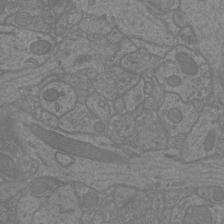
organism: Mouse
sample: Cortical neurons